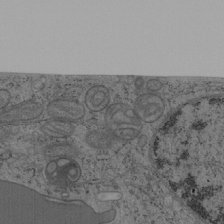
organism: Human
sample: HeLa cells